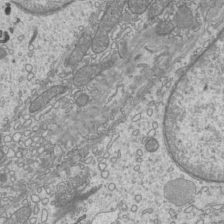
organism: Mouse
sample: Cilia; mouse epididymis